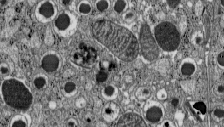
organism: C57BL Mouse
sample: Pancreatic islet